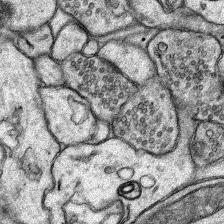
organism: Rat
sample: Hippocampus